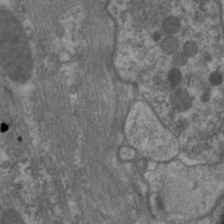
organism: C. elegans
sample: Pharynx